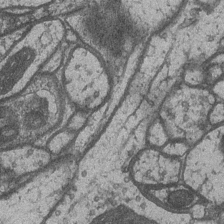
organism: Drosophila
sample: Optic medulla